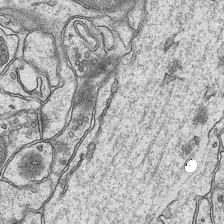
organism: Mouse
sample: CA1 Hippocampus